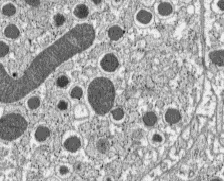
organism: C57BL Mouse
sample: Pancreatic islet